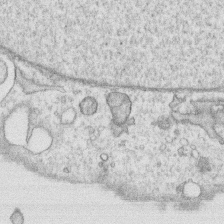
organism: Human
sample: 1205lu cells